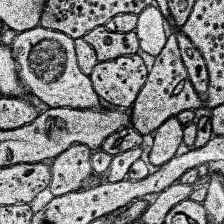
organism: Human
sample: Temporal Lobe